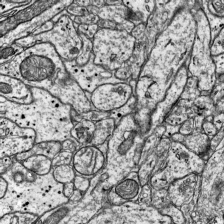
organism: Mouse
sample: Visual Cortex